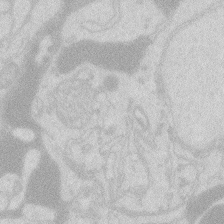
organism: Zebrafish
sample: Macrophage